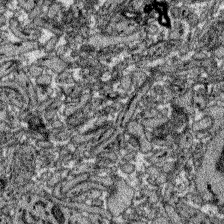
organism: Zebrafish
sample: Larval olfactory bulb